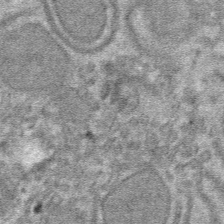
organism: Mouse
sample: Mouse hepatocytes